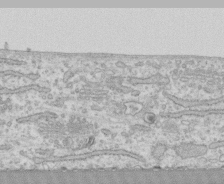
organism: Human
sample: CRL-1474